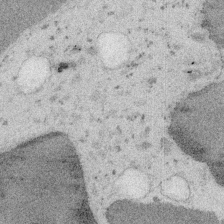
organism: Embia sp.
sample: Silk gland